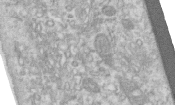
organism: Human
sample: Centriole in RPE cells